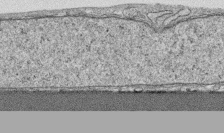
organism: Human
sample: CRL-1474